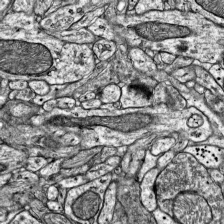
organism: Mouse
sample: Visual Cortex